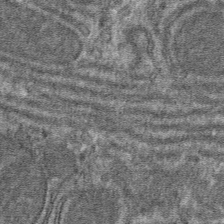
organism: Mouse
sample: Mouse hepatocytes